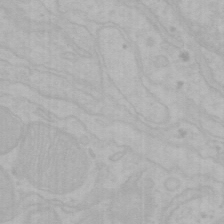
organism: Mouse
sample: Choroid plexus